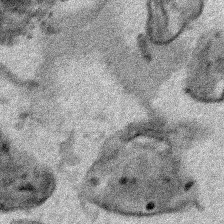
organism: Human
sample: Mitochondria in HCT116 cells